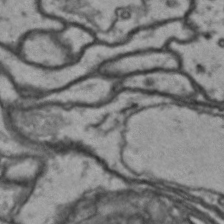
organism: Drosophila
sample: Brain